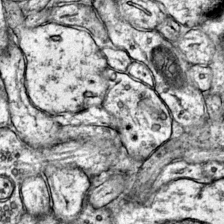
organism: Mouse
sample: Primary visual cortex